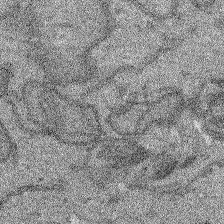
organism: Human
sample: HeLa cells